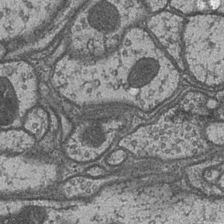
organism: Drosophila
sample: Optic medulla